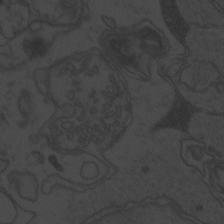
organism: Zebrafish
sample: Macrophage infected with Toxoplasma gondii